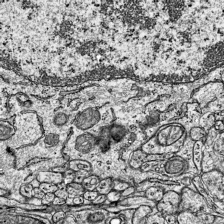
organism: Mouse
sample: Visual Cortex